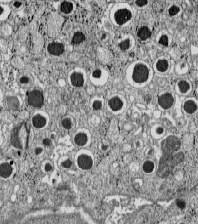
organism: C57BL Mouse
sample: Pancreatic islet